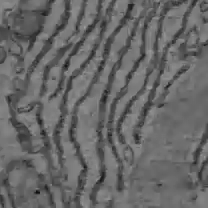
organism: C57BL Mouse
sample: Liver